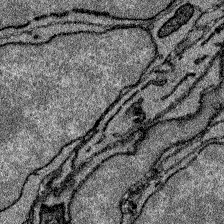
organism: Zebrafish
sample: Larval olfactory bulb